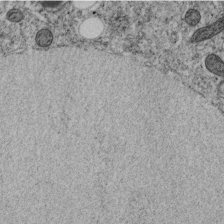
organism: C. elegans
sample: C. elegans embryo early stage